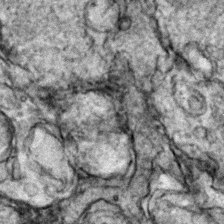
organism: Zebrafish